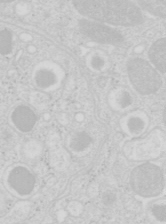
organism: Mouse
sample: Pancreas